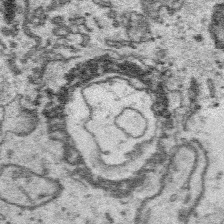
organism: Platynereis dumerilii